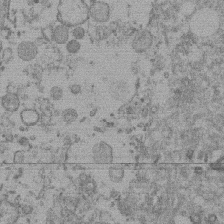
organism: Mouse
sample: Dividing mouse embryo 1 cell stage